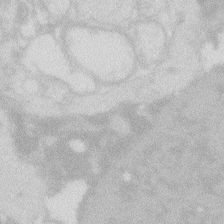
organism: Zebrafish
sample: Macrophage